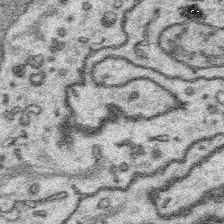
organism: Platynereis dumerilii